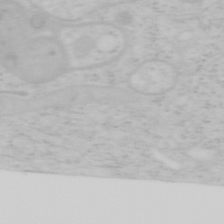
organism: Mouse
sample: OT-I killer T cells with ID8 ovarian cancer cells